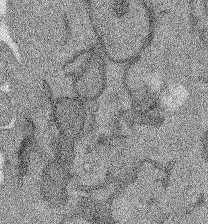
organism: Human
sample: HeLa cells